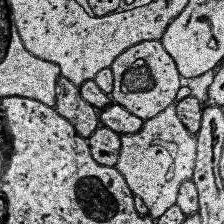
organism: Human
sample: Temporal Lobe